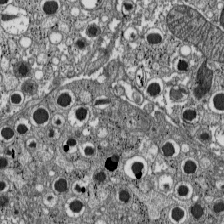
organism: C57BL Mouse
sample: Pancreatic islet